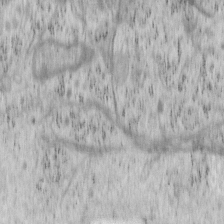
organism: Human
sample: HeLa cells